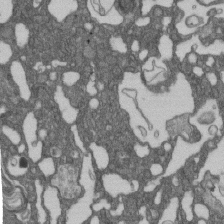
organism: Drosophila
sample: Nephrocyte